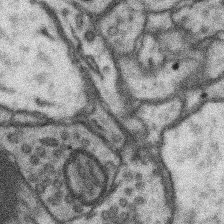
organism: Mouse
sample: Somatosensory cortex neuropil